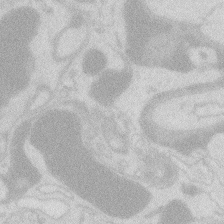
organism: Zebrafish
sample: Macrophage